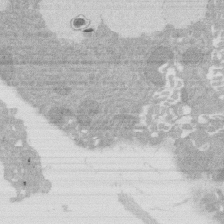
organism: Rat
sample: Salivary granule